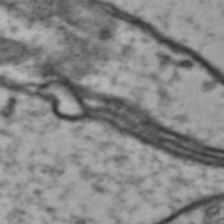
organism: Drosophila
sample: Brain